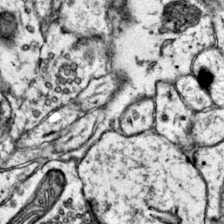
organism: Mouse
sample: Primary visual cortex